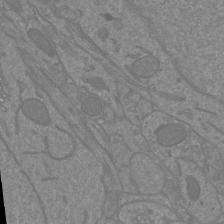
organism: Mouse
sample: Cortical neurons